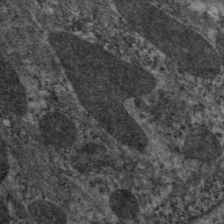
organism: C. elegans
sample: Pharynx